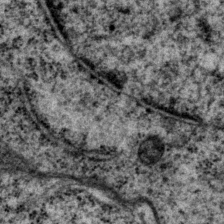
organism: P. pacificus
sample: Pharynx